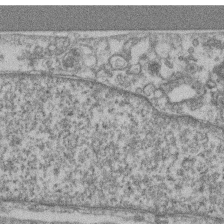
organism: Mouse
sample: T cell stromal cell synapse